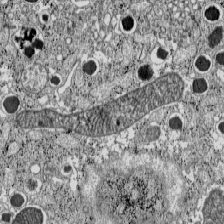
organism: C57BL Mouse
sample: Pancreatic islet